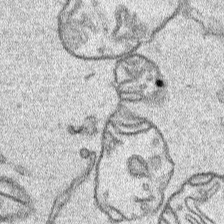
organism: Human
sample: Mitochondria in HCT116 cells